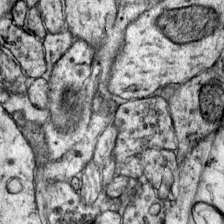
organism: Mouse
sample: Primary visual cortex